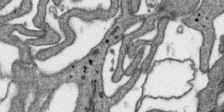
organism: Human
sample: Lung epithelial cells, uninfected (mock) control